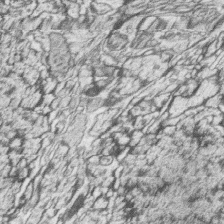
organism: Zebrafish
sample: synaptic ribbons in rod cells and cone cells